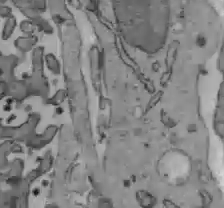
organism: C57BL Mouse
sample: Liver